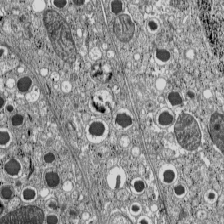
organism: C57BL Mouse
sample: Pancreatic islet